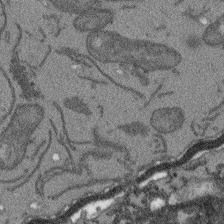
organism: Arabidopsis thaliana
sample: Root tip